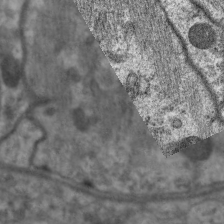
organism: C. elegans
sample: Pharynx